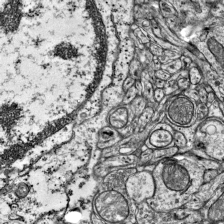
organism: Mouse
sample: Visual Cortex